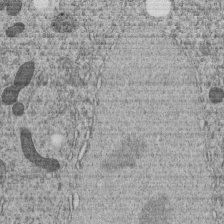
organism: C. elegans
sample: C. elegans embryo early stage